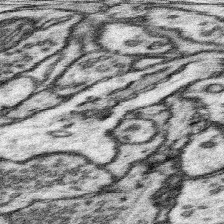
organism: Mouse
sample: Somatosensory cortex neuropil